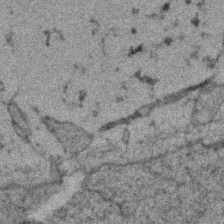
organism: Zebrafish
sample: Zebrafish embryo